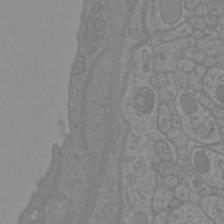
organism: Mouse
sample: Cortical neurons